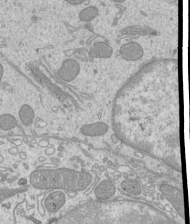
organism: Mouse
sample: Cilia; mouse epididymis